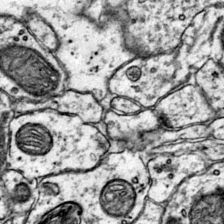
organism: Mouse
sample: Primary visual cortex